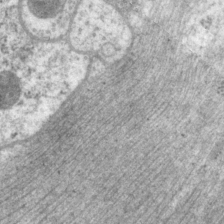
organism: P. pacificus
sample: Pharynx